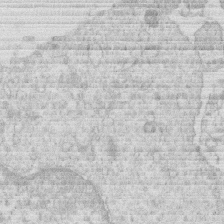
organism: Human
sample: Macrophage cells